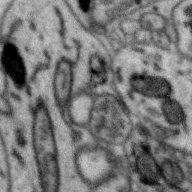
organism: Zebra finch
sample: Brain